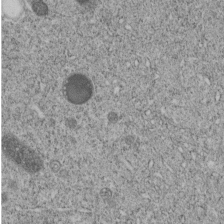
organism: C. elegans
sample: C. elegans embryo early stage